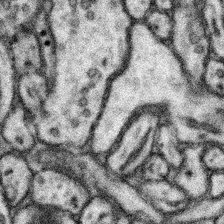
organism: Mouse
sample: Somatosensory cortex neuropil